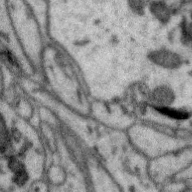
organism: Zebra finch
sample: Brain